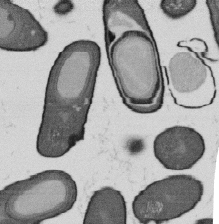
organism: B. subtilis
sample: Bacterial spore